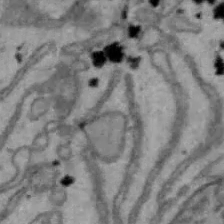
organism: Mouse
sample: Liver